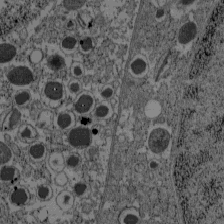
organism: C57BL Mouse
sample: Pancreatic islet